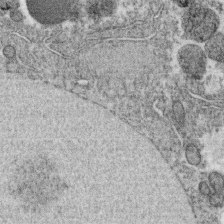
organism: C. elegans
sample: C. elegans oocyte; sperm cells